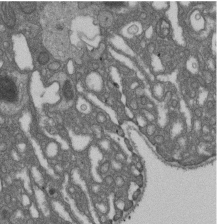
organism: Drosophila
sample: Nephrocyte